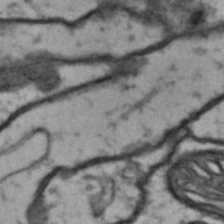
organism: Drosophila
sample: Brain